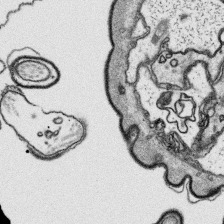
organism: Platynereis dumerilii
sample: Parapodia